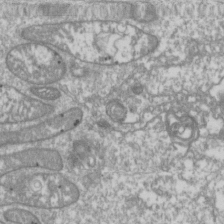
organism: Drosophila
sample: Cell division; meiosis; drosophila spermatocytes